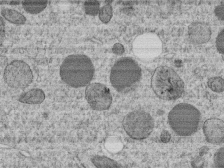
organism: C. elegans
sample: C. elegans embryo early stage